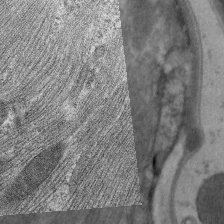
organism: C. elegans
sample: Pharynx